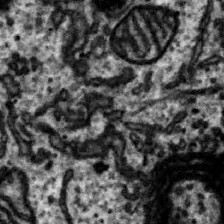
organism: Human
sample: HeLa cells